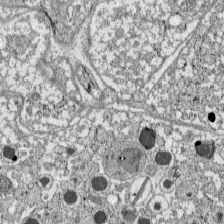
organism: C57BL Mouse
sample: Pancreatic islet